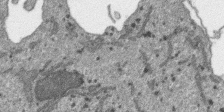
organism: Human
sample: Lung epithelial cells infected with SARS-CoV-2